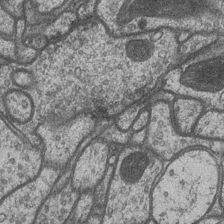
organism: Drosophila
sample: Optic medulla